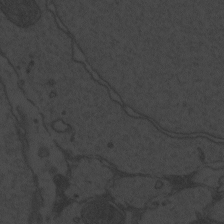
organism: Zebrafish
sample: Macrophage infected with Toxoplasma gondii